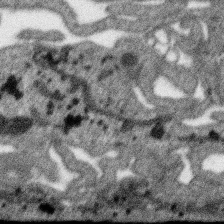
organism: Human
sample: Lung epithelial cells infected with SARS-CoV-2